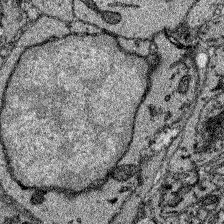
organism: Zebrafish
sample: Larval olfactory bulb